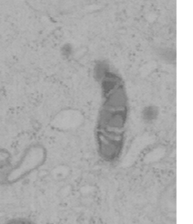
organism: Mouse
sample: OT-I killer T cells with ID8 ovarian cancer cells